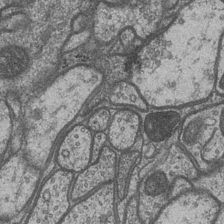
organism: Drosophila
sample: Optic medulla